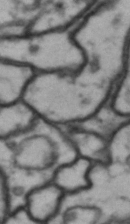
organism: Drosophila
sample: Brain